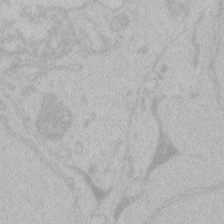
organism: Zebrafish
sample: Macrophage infected with Toxoplasma gondii